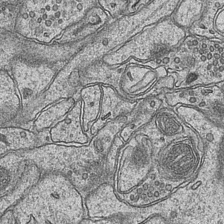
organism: Mouse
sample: CA1 Hippocampus